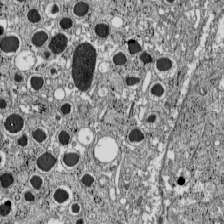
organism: C57BL Mouse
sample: Pancreatic islet